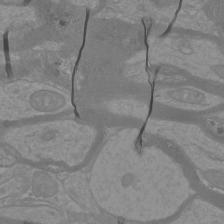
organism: Mouse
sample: Cortical neurons